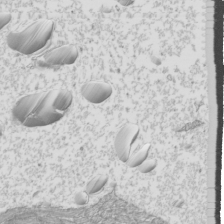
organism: Mouse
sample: Cilia; mouse epididymis